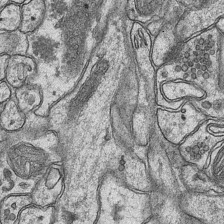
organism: Mouse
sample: CA1 Hippocampus